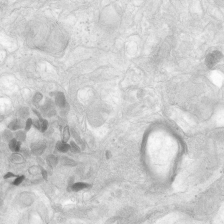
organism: Human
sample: Neocortex